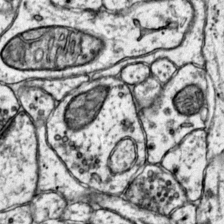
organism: Mouse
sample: Primary visual cortex